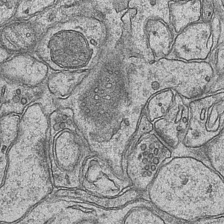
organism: Mouse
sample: CA1 Hippocampus